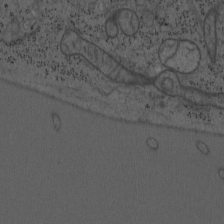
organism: Mouse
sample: OT-I killer T cells with ID8 ovarian cancer cells